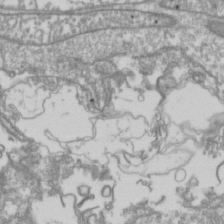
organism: Drosophila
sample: Cell division; meiosis; drosophila spermatocytes